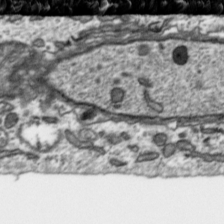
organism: Toxoplasma gondii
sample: Parasites in a vacuole inside a host cell